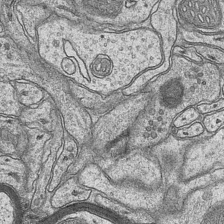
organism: Mouse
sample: CA1 Hippocampus